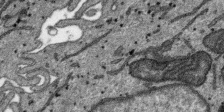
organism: Human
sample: Lung epithelial cells, uninfected (mock) control